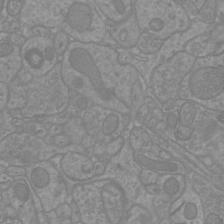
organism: Mouse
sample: Cortical neurons